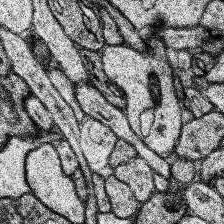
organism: Human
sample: Temporal Lobe